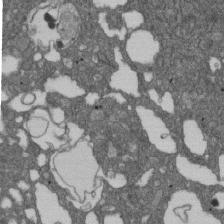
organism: Drosophila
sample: Nephrocyte